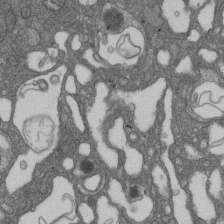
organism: Drosophila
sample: Nephrocyte